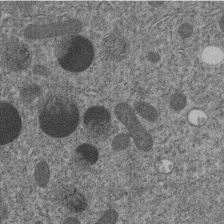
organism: C. elegans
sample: C. elegans embryo early stage